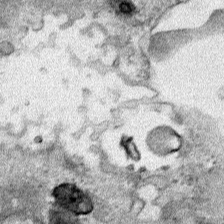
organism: Human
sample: Mitochondria in HCT116 cells